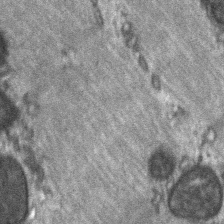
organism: C57BL Mouse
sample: Soleus